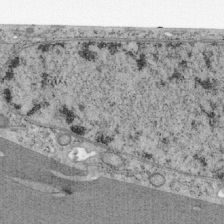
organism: Human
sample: HeLa cells